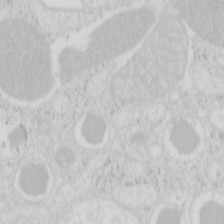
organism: Mouse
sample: Pancreas